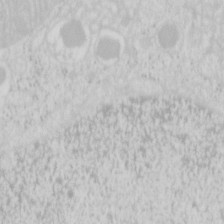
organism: Mouse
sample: Pancreas